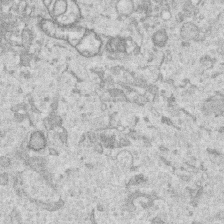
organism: Human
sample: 1205lu cells